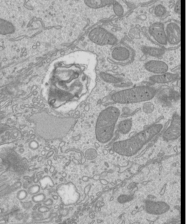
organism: Mouse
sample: Cilia; mouse epididymis